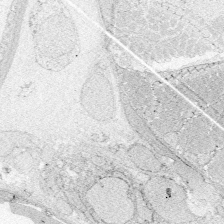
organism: Zebrafish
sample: Whole-Brain